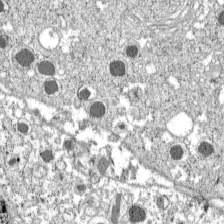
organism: C57BL Mouse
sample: Pancreatic islet